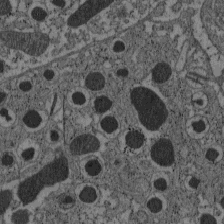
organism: C57BL Mouse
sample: Pancreatic islet